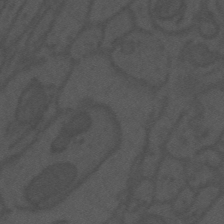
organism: Mouse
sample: Suprachiasmatic nucleus